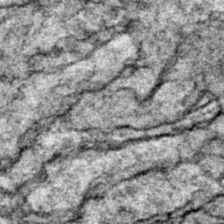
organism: Zebrafish